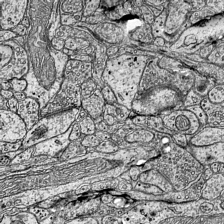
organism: Mouse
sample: Visual Cortex